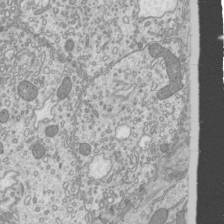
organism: Mouse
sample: Cilia; mouse epididymis